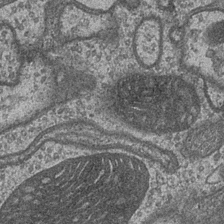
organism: Drosophila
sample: Optic medulla